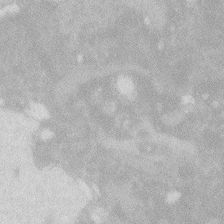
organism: Zebrafish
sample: Macrophage